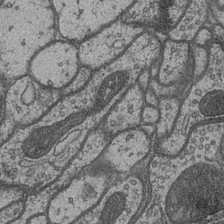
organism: Drosophila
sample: Optic medulla